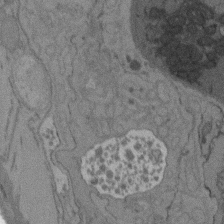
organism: C. elegans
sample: AFD neurons C. elegans